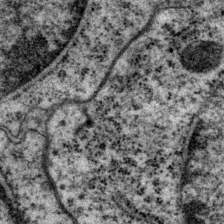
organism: P. pacificus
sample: Pharynx